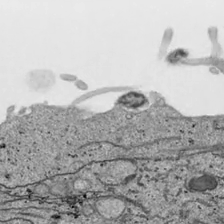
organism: Human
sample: HeLa cells